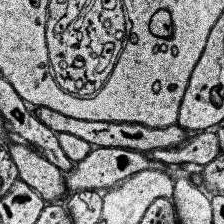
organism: Human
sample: Temporal Lobe